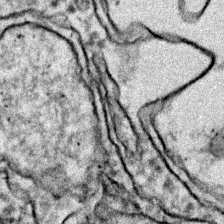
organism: Zebrafish